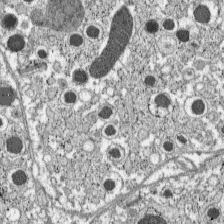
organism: C57BL Mouse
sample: Pancreatic islet